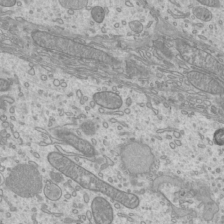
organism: Mouse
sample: Cilia; mouse epididymis